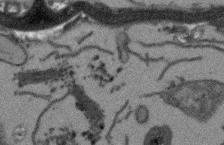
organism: Arabidopsis thaliana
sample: Root tip